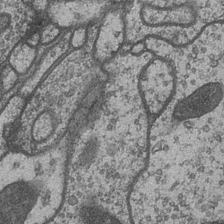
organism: Drosophila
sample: Optic medulla